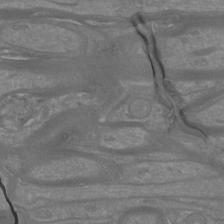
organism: Mouse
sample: Cortical neurons